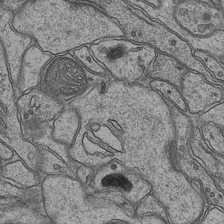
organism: Mouse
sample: CA1 Hippocampus